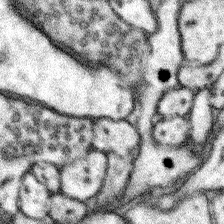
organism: Mouse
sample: Somatosensory cortex neuropil